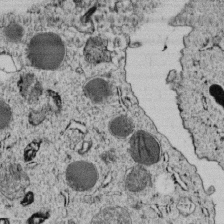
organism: C. elegans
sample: C. elegans embryo early stage